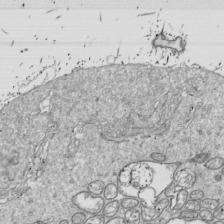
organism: Drosophila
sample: Cell division; meiosis; drosophila spermatocytes